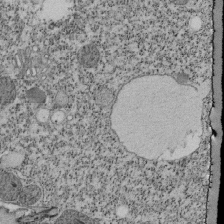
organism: Tetrahymena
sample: Cilia in tetrahymena